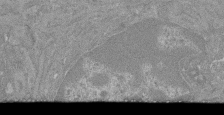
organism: Mouse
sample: Glomerulus